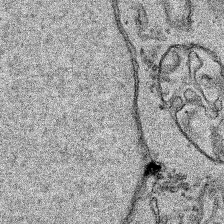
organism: Human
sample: Mitochondria in HCT116 cells